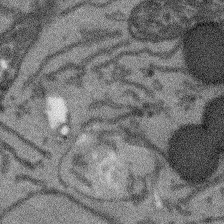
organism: Arabidopsis thaliana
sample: Root tip